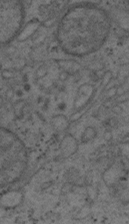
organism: Human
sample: HeLa cells